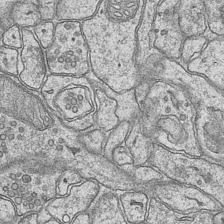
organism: Mouse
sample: CA1 Hippocampus